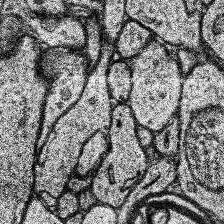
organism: Human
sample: Temporal Lobe